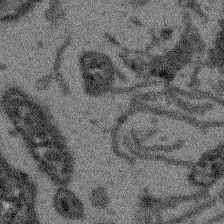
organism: Arabidopsis thaliana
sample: Root tip